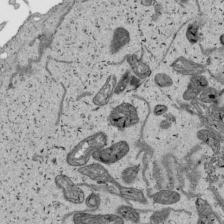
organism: Human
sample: Mitochondria in HCT116 cells